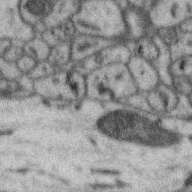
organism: Zebra finch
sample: Brain